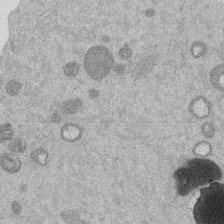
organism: Mouse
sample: Dividing mouse embryo 1 cell stage